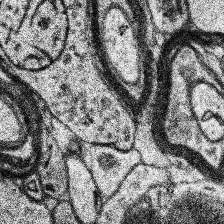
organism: Human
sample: Temporal Lobe